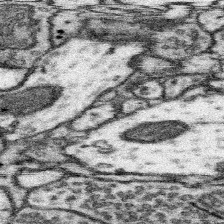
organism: Mouse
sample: Somatosensory cortex neuropil